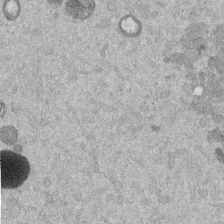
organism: Mouse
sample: Dividing mouse embryo 1 cell stage